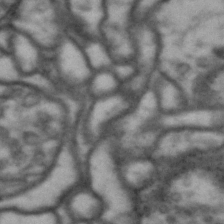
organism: Drosophila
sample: Brain